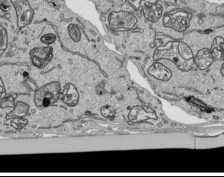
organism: Human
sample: Mitochondria in HCT116 cells